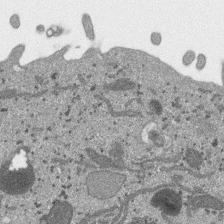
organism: Human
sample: Lung epithelial cells infected with SARS-CoV-2